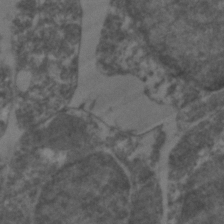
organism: Zebrafish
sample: Zebrafish embryo